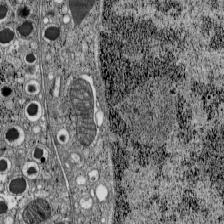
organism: C57BL Mouse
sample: Pancreatic islet